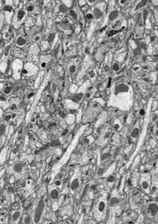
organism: Drosophila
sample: Optic lobe